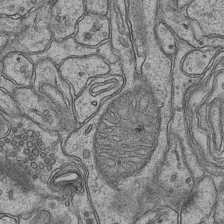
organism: Mouse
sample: CA1 Hippocampus